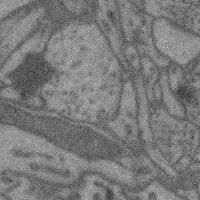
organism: Mouse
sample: Cerebral cortex